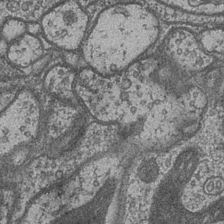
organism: Drosophila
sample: Optic medulla